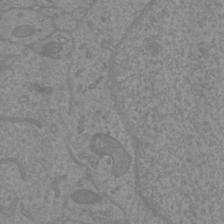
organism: Mouse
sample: Cortical neurons